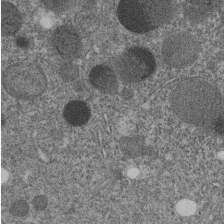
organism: C. elegans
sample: C. elegans embryo early stage